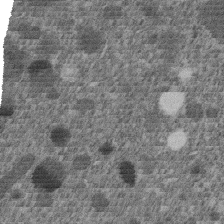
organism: C. elegans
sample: C. elegans embryo early stage